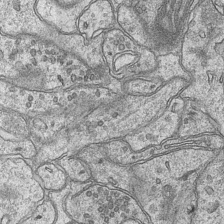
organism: Mouse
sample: CA1 Hippocampus